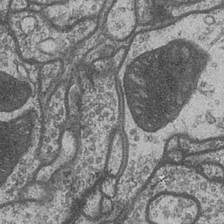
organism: Drosophila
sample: Optic medulla